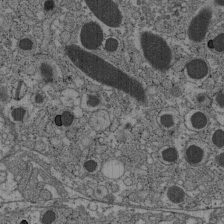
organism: C57BL Mouse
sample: Pancreatic islet